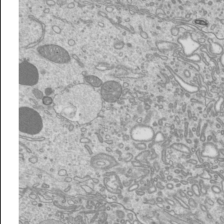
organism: Mouse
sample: Cilia; mouse epididymis